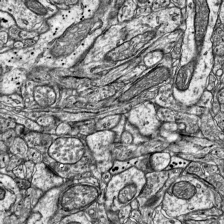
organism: Mouse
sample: Visual Cortex